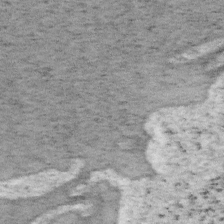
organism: Mouse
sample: OT-I killer T cells with ID8 ovarian cancer cells